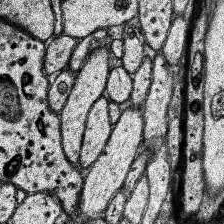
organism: Human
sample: Temporal Lobe